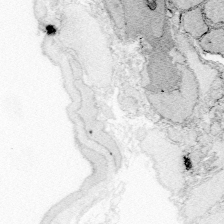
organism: Zebrafish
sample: Whole-Brain